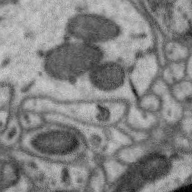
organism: Zebra finch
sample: Brain